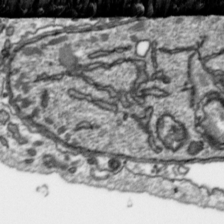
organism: Toxoplasma gondii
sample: Parasites in a vacuole inside a host cell